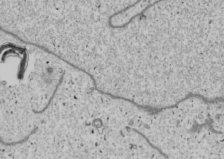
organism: Human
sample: Mitochondria in U2OS cells